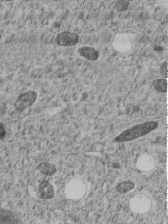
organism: C. elegans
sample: C. elegans embryo early stage